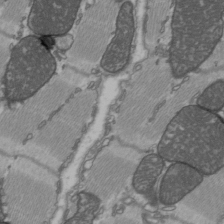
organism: C57BL Mouse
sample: Heart